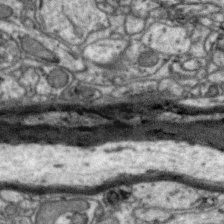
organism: Zebra finch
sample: Brain